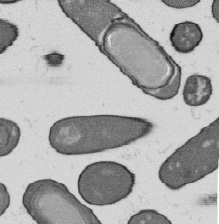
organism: B. subtilis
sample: Bacterial spore